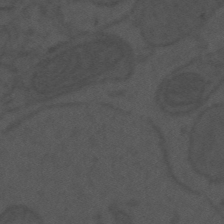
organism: Mouse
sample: Suprachiasmatic nucleus